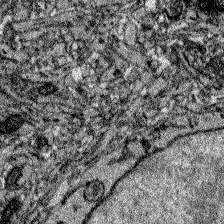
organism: Zebrafish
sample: Larval olfactory bulb